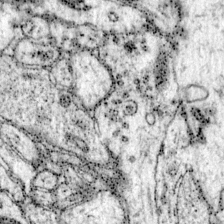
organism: Mouse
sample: Primary visual cortex